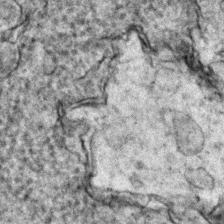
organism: Zebrafish